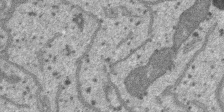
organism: Human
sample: Lung epithelial cells infected with SARS-CoV-2